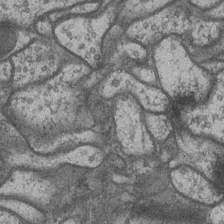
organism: Drosophila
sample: Optic medulla